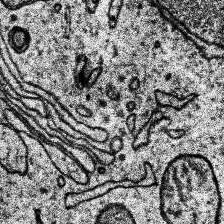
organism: Human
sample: Temporal Lobe